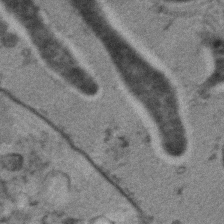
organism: C. elegans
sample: C. elegans embryo